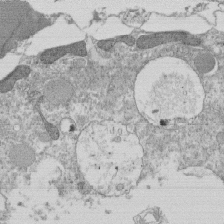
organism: Tetrahymena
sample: Cilia in tetrahymena